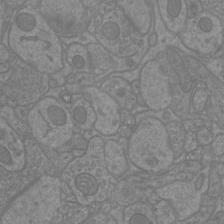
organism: Mouse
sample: Cortical neurons